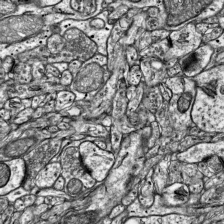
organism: Mouse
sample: Visual Cortex